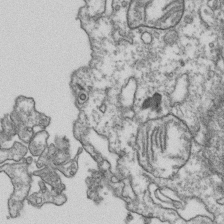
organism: Human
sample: Activated Jurkat CD4+ T cells